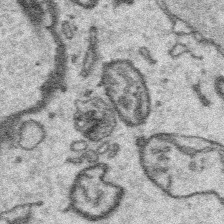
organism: Platynereis dumerilii